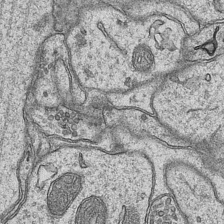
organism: Mouse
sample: CA1 Hippocampus